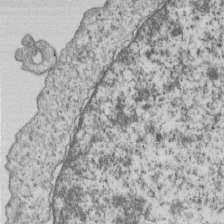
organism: Human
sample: MDA-MB-231 cells